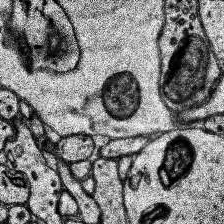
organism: Human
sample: Temporal Lobe